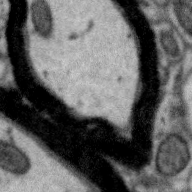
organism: Zebra finch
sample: Brain